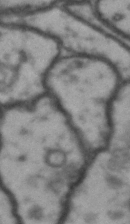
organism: Drosophila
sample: Brain